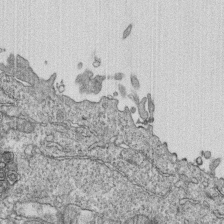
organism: Human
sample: HeLa cell HIV synapse